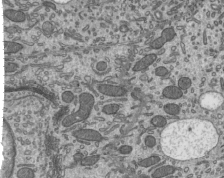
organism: Mouse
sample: Mouse epididymis efferent ductule cilia